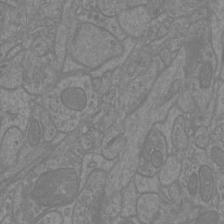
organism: Mouse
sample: Cortical neurons